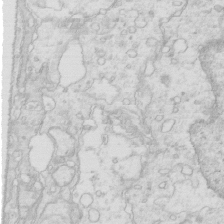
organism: Mouse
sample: Multiciliated cells